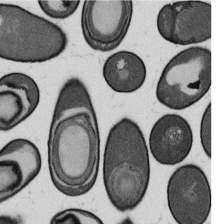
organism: B. subtilis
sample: Bacterial spore